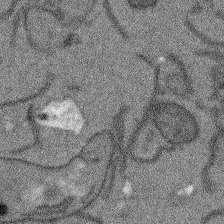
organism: Arabidopsis thaliana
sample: Root tip